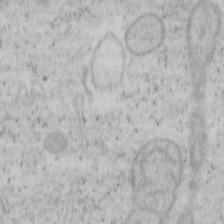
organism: Human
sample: HeLa cells